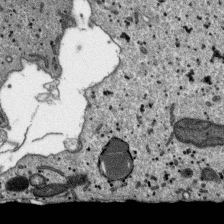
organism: Human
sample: Lung epithelial cells, uninfected (mock) control